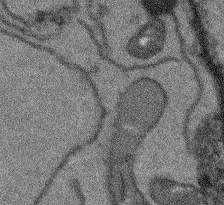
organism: Arabidopsis thaliana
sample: Root tip